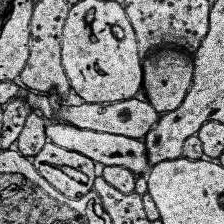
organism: Human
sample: Temporal Lobe